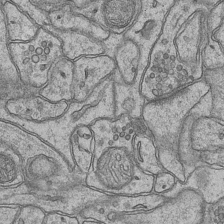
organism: Mouse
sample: CA1 Hippocampus